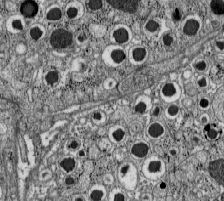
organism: C57BL Mouse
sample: Pancreatic islet